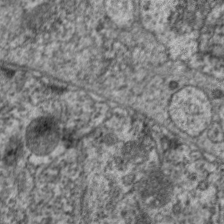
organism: C. elegans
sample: Pharynx